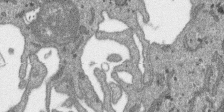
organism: Human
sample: Lung epithelial cells infected with SARS-CoV-2